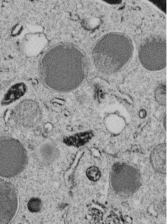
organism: C. elegans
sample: C. elegans embryo early stage